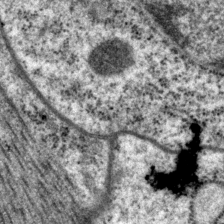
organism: P. pacificus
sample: Pharynx